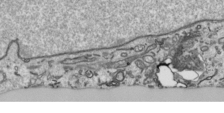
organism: Human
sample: Mitochondria in HCT116 cells